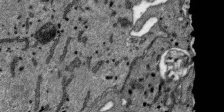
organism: Human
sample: Lung epithelial cells, uninfected (mock) control